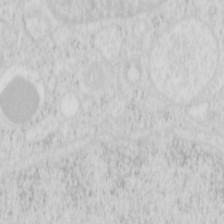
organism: Mouse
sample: Pancreas